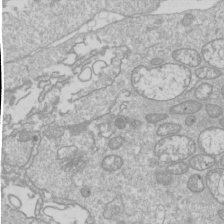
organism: Drosophila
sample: Cell division; meiosis; drosophila spermatocytes